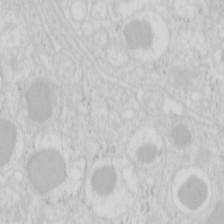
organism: Mouse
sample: Pancreas